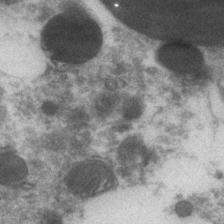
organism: Zebrafish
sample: Zebrafish embryo